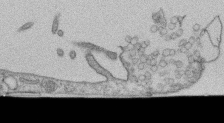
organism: Human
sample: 1205lu cells